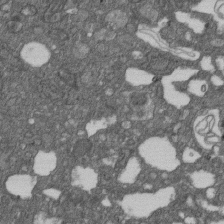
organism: Drosophila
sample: Nephrocyte